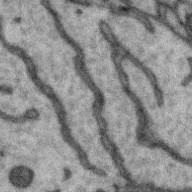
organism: Zebra finch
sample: Brain